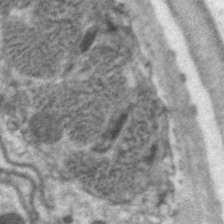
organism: C. elegans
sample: Pharynx